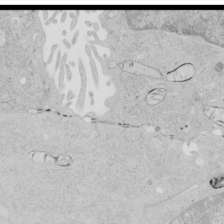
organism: Human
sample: Mitochondria in HCT116 cells